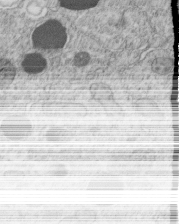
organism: C. elegans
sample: C. elegans embryo early stage